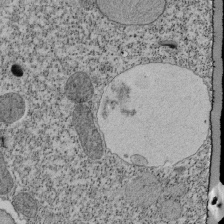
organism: Tetrahymena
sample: Cilia in tetrahymena